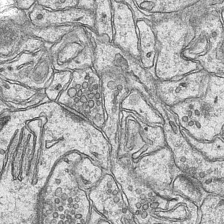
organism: Mouse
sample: CA1 Hippocampus